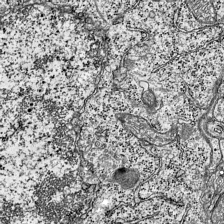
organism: Mouse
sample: Visual Cortex